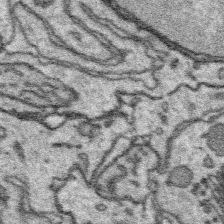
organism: Platynereis dumerilii